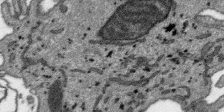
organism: Human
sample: Lung epithelial cells, uninfected (mock) control